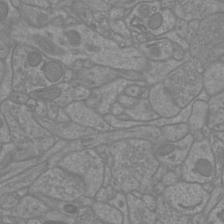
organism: Mouse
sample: Cortical neurons